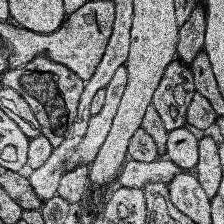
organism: Human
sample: Temporal Lobe